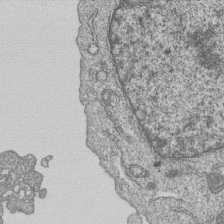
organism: Human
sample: MDA-MB-231 cells